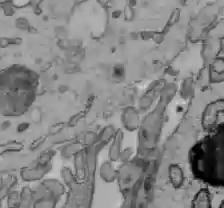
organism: C57BL Mouse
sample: Liver